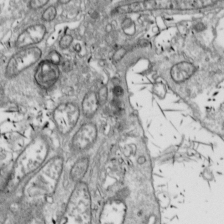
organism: Drosophila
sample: Cell division; meiosis; drosophila spermatocytes